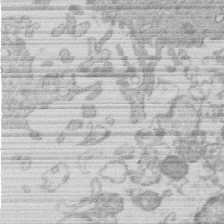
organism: Human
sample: Macrophage cells